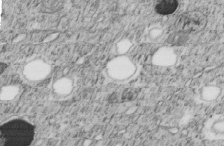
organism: C. elegans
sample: C. elegans embryo early stage